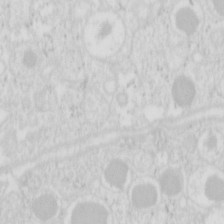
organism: Mouse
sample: Pancreas